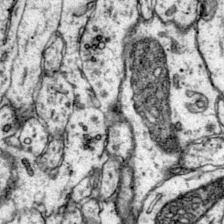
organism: Mouse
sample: Primary visual cortex